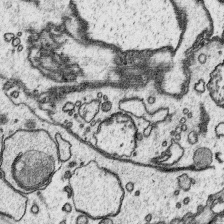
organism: Platynereis dumerilii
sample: Parapodia